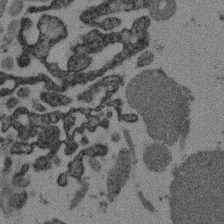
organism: Mouse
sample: Dividing mouse embryo 1 cell stage